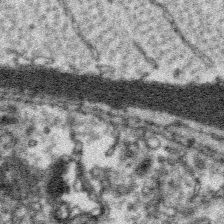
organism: Platynereis dumerilii